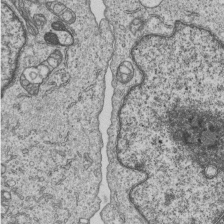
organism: Human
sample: MDA-MB-231 cells